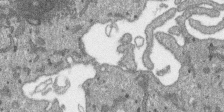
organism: Human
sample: Lung epithelial cells infected with SARS-CoV-2